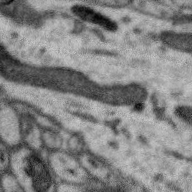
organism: Zebra finch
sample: Brain